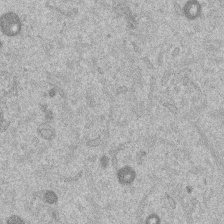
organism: Mouse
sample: Dividing mouse embryo 1 cell stage